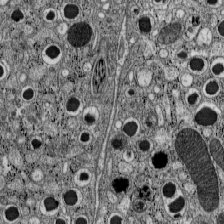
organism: C57BL Mouse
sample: Pancreatic islet